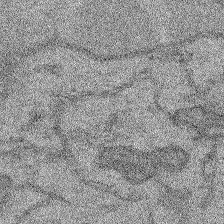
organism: Human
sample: HeLa cells